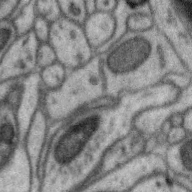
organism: Zebra finch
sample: Brain